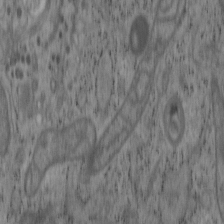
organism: Human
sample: HeLa cells